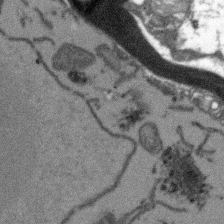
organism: Arabidopsis thaliana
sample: Root tip